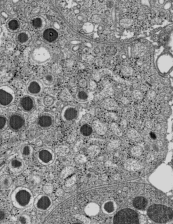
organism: C57BL Mouse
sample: Pancreatic islet